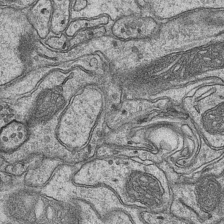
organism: Mouse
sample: CA1 Hippocampus